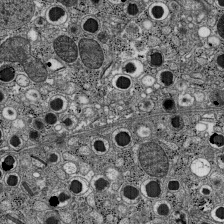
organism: C57BL Mouse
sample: Pancreatic islet